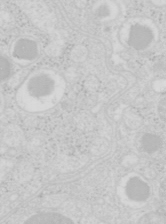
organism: Mouse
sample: Pancreas